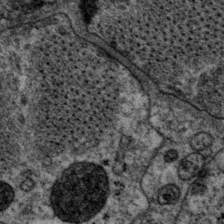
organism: P. pacificus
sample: Pharynx